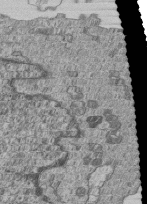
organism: Human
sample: MDA-MB-231 cells